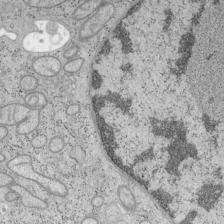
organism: Mouse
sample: OT-I killer T cells with ID8 ovarian cancer cells